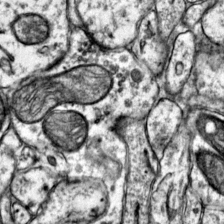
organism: Mouse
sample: Primary visual cortex